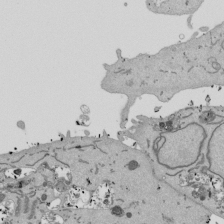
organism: Mouse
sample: ED-1 cell nuclei; centrioles